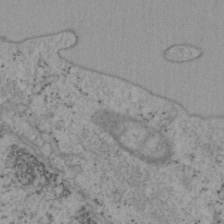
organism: Human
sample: HeLa cells